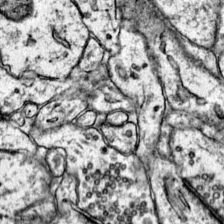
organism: Mouse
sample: Primary visual cortex